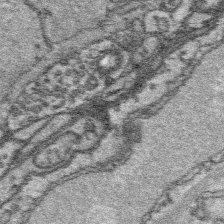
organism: Platynereis dumerilii